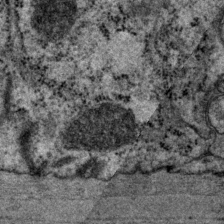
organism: P. pacificus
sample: Pharynx